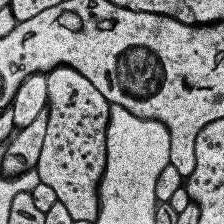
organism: Human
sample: Temporal Lobe